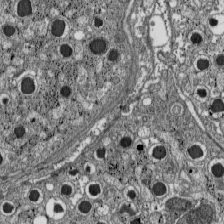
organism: C57BL Mouse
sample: Pancreatic islet